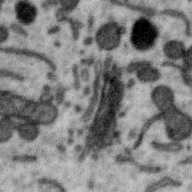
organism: Zebra finch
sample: Brain